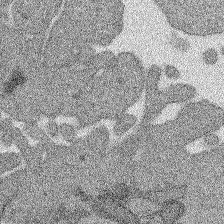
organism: Human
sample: HeLa cells